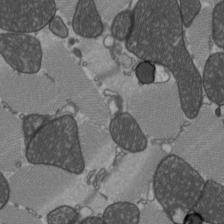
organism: C57BL Mouse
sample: Heart